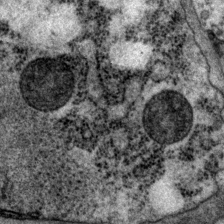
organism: P. pacificus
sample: Pharynx